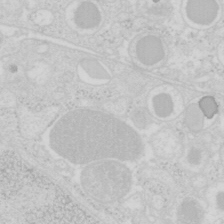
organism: Mouse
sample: Pancreas